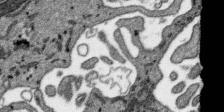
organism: Human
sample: Lung epithelial cells, uninfected (mock) control